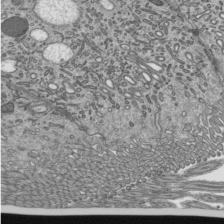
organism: Mouse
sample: Mouse epididymis efferent ductule cilia